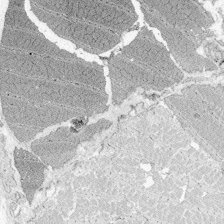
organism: Zebrafish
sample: Whole-Brain